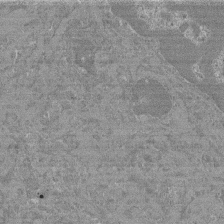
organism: Mouse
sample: Glomerulus